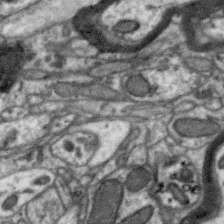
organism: Zebra finch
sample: Brain